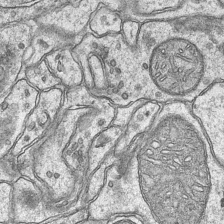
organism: Mouse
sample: CA1 Hippocampus